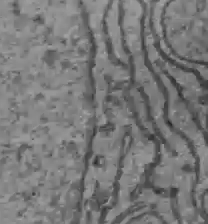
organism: C57BL Mouse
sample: Liver